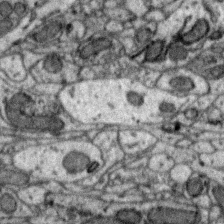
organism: Zebra finch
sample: Brain